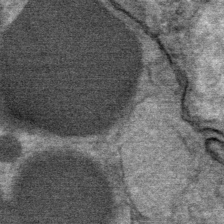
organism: Mouse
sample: Mouse Salivary gland